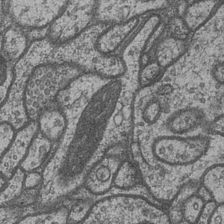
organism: Drosophila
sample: Optic medulla